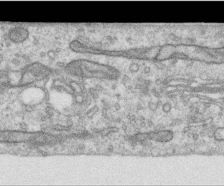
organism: Human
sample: Centriole in RPE cells